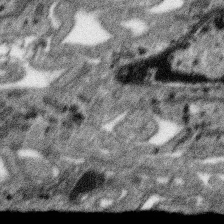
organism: Human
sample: Lung epithelial cells infected with SARS-CoV-2